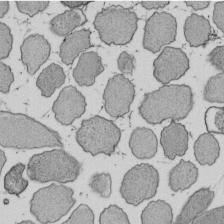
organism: E. coli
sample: Bacterial nucleoid